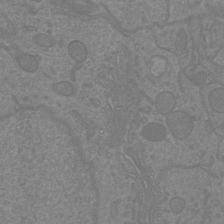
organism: Mouse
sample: Cortical neurons